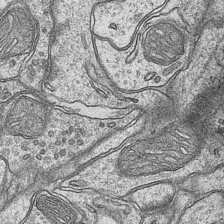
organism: Mouse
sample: CA1 Hippocampus